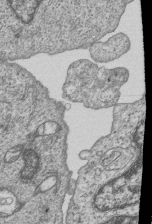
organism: Human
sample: MDA-MB-231 cells